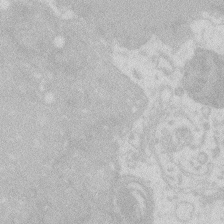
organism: Zebrafish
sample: Macrophage